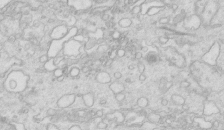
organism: Mouse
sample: Multiciliated cells